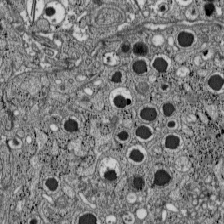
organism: C57BL Mouse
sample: Pancreatic islet